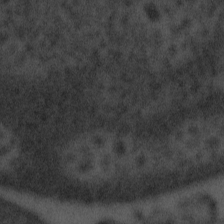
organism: Tuwongella immobilis